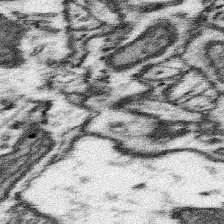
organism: Mouse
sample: Somatosensory cortex neuropil